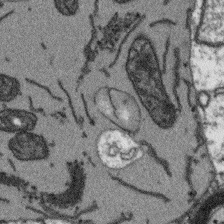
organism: Arabidopsis thaliana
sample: Root tip